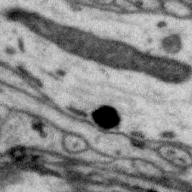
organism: Zebra finch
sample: Brain